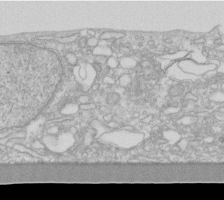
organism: Human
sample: Fibroblast cells